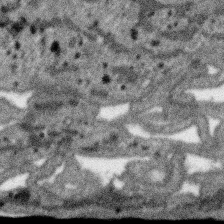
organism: Human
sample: Lung epithelial cells infected with SARS-CoV-2